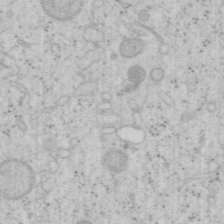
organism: Human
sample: HeLa cells